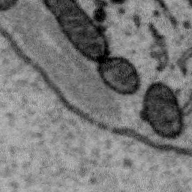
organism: Zebra finch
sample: Brain